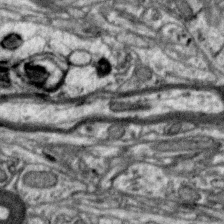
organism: Zebra finch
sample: Brain